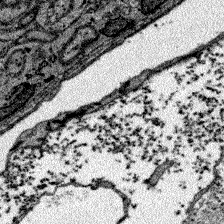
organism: Zebrafish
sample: Larval olfactory bulb